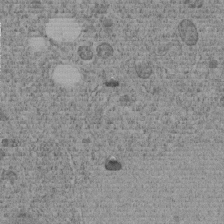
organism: C. elegans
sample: C. elegans embryo early stage